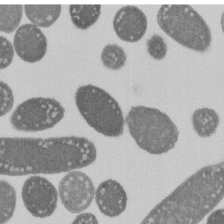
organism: E. coli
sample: Bacterial nucleoid